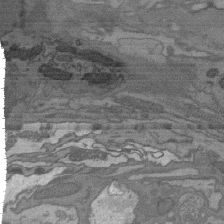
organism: C. elegans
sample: AFD neurons C. elegans